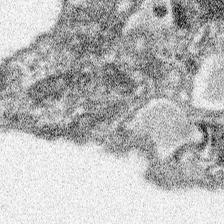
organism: Spongilla lacustris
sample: Neuroid cell